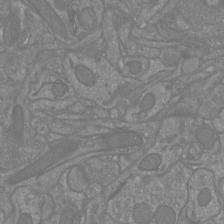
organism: Mouse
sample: Cortical neurons